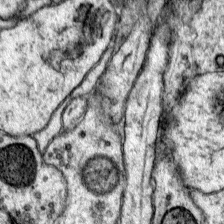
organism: Mouse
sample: Primary visual cortex